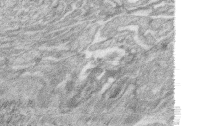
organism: Zebrafish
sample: synaptic ribbons in rod cells and cone cells